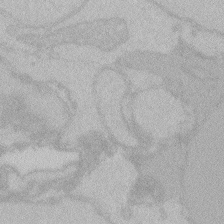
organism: Zebrafish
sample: Macrophage infected with Toxoplasma gondii